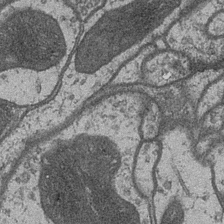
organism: Drosophila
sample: Optic medulla